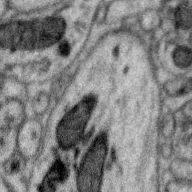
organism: Zebra finch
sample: Brain